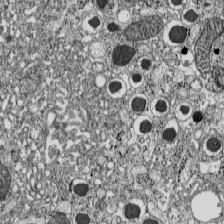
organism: C57BL Mouse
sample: Pancreatic islet